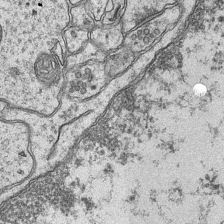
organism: Mouse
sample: CA1 Hippocampus